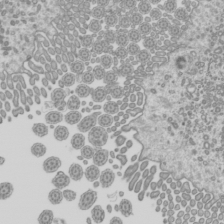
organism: Mouse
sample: Cilia; mouse epididymis